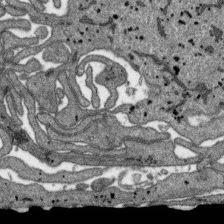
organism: Human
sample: Lung epithelial cells, uninfected (mock) control